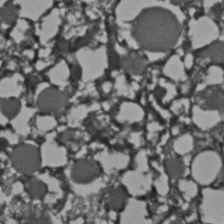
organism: C. elegans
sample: C. elegans embryo